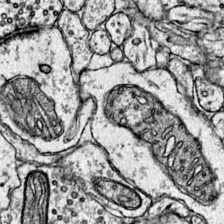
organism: Mouse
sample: Primary visual cortex